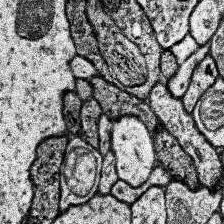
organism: Human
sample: Temporal Lobe